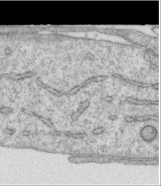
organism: Human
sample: Centriole in RPE cells